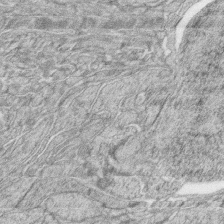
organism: Zebrafish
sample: synaptic ribbons in rod cells and cone cells